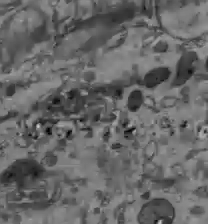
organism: C57BL Mouse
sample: Liver